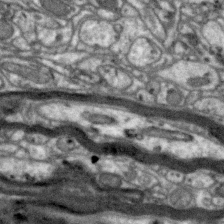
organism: Zebra finch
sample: Brain